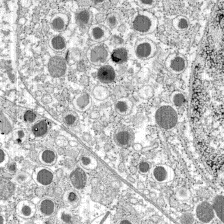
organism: C57BL Mouse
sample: Pancreatic islet